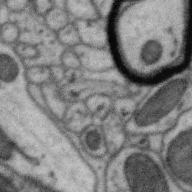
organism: Zebra finch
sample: Brain